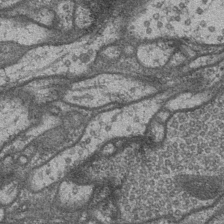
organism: Drosophila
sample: Optic medulla